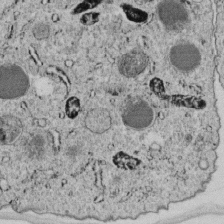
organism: C. elegans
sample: C. elegans embryo early stage